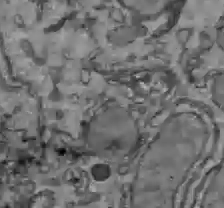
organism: C57BL Mouse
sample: Liver